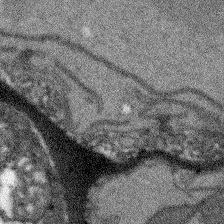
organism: Arabidopsis thaliana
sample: Root tip